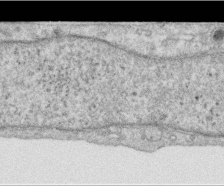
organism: Human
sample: Centriole in RPE cells